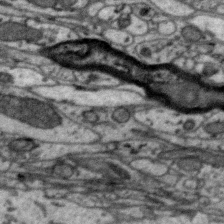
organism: Zebra finch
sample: Brain